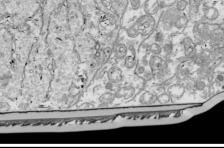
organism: Drosophila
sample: Cell division; meiosis; drosophila spermatocytes